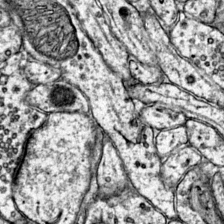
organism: Mouse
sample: Primary visual cortex